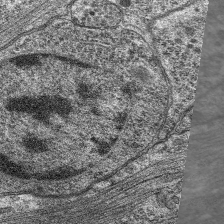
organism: C. elegans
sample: Pharynx